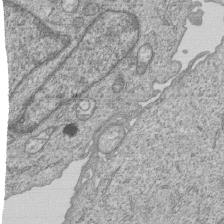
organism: Human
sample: MDA-MB-231 cells